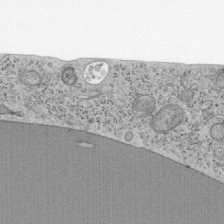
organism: Human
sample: HeLa cells